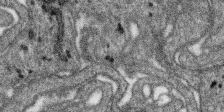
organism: Human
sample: Lung epithelial cells infected with SARS-CoV-2